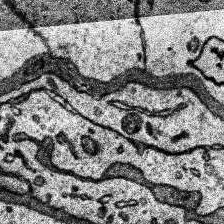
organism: Human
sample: Temporal Lobe